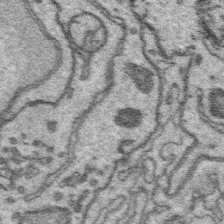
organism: Platynereis dumerilii